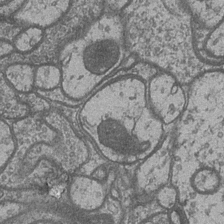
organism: Drosophila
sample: Optic medulla